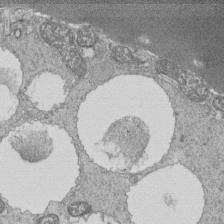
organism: Tetrahymena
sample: Cilia in tetrahymena